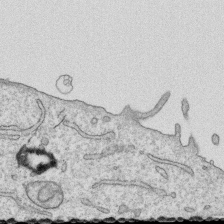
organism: Human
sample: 1205lu cells